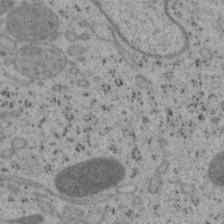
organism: Human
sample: HeLa cells